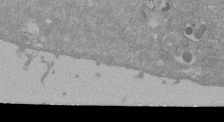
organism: Mouse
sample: ED-1 cell nuclei; centrioles